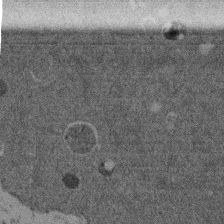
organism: Mouse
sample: Dividing mouse embryo 1 cell stage